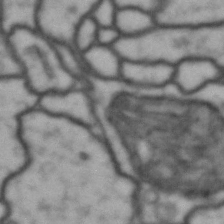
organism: Drosophila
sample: Brain